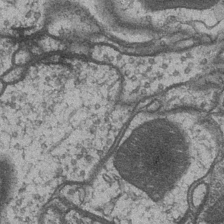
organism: Drosophila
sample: Optic medulla